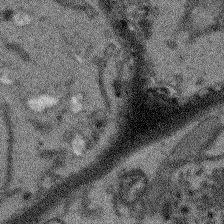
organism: Arabidopsis thaliana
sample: Root tip